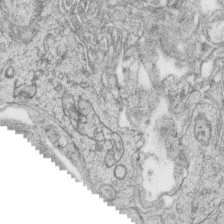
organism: Zebrafish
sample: synaptic ribbons in rod cells and cone cells